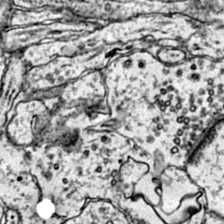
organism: Mouse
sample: Primary visual cortex